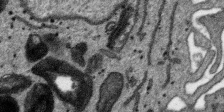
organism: Human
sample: Lung epithelial cells, uninfected (mock) control